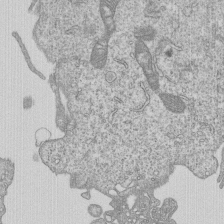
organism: Human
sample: MDA-MB-231 cells